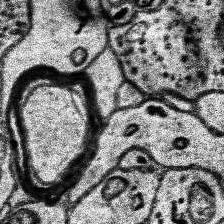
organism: Human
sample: Temporal Lobe